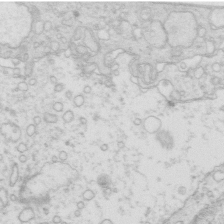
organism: Mouse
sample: Multiciliated cells